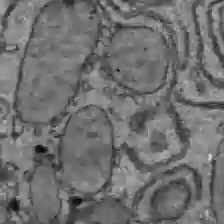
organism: C57BL Mouse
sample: Liver